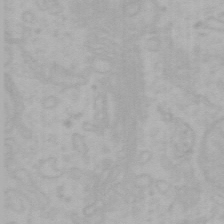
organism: Mouse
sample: Choroid plexus